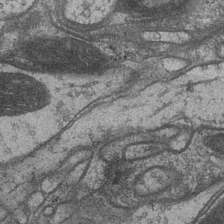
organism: Drosophila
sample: Optic medulla